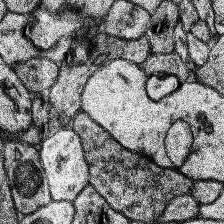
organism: Human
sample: Temporal Lobe